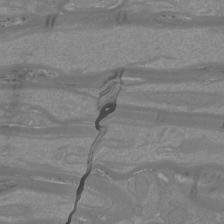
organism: Mouse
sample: Cortical neurons